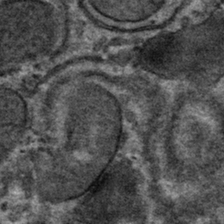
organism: Mouse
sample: Mouse hepatocytes